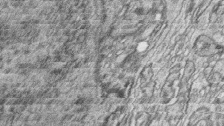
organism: Zebrafish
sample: synaptic ribbons in rod cells and cone cells